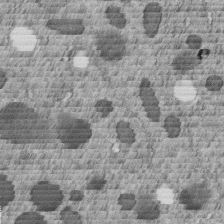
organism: C. elegans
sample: C. elegans embryo early stage